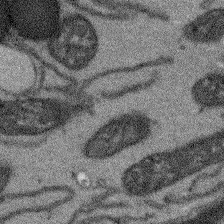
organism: Arabidopsis thaliana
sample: Root tip